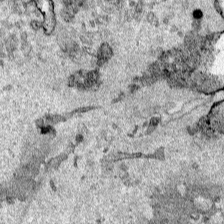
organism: Human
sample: Mitochondria in HCT116 cells